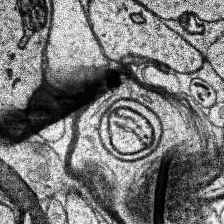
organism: Human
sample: Temporal Lobe